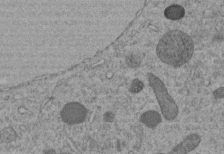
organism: C. elegans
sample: C. elegans embryo early stage